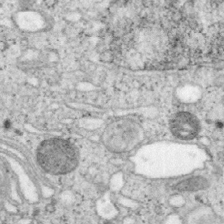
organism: Mouse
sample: OT-I killer T cells with ID8 ovarian cancer cells